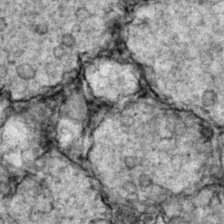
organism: Zebrafish